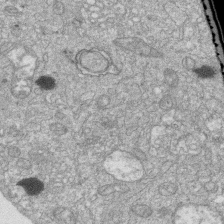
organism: Human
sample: HeLa cell HIV synapse